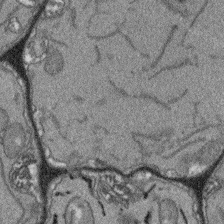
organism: Arabidopsis thaliana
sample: Root tip